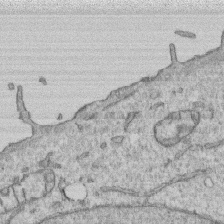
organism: Human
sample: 1205lu cells